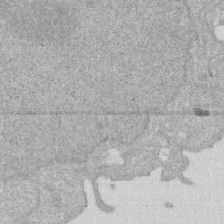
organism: Human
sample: HIV infected U937 cells